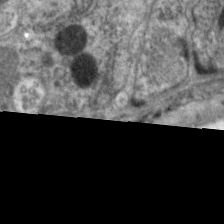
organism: C. elegans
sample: Pharynx